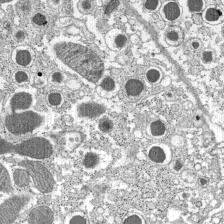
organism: C57BL Mouse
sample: Pancreatic islet